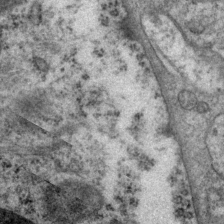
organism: P. pacificus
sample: Pharynx